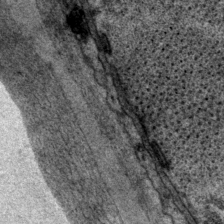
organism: P. pacificus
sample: Pharynx